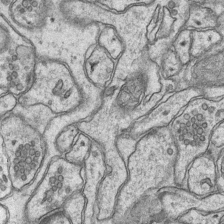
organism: Mouse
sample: CA1 Hippocampus